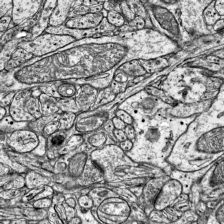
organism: Mouse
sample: Visual Cortex